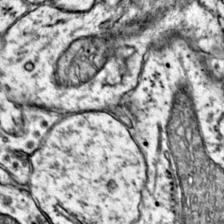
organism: Mouse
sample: Primary visual cortex